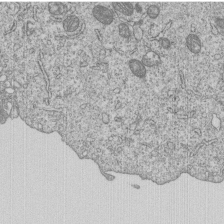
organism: Human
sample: MDA-MB-231 cells